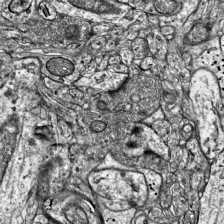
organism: Mouse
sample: Visual Cortex